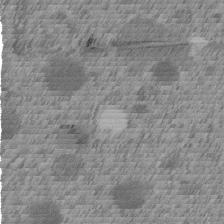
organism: C. elegans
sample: C. elegans embryo early stage